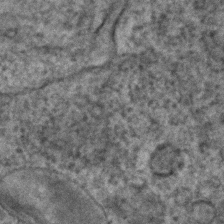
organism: C. elegans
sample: C. elegans embryo